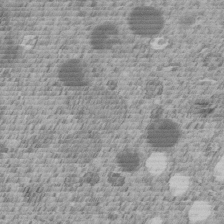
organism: C. elegans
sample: C. elegans embryo early stage